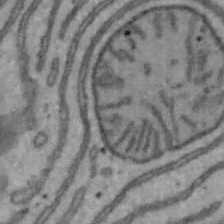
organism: Mouse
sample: Liver